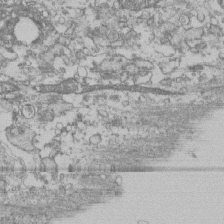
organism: Human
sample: Fibroblast cells